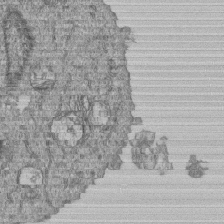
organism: Human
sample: MDA-MB-231 cells